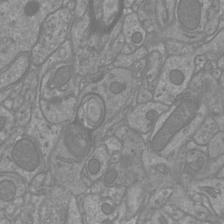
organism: Mouse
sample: Cortical neurons